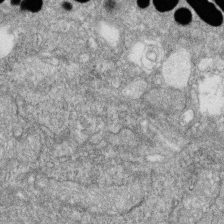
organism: Zebrafish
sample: Cilia; retinal pigment epithelium